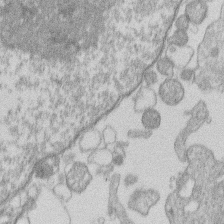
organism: Human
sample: Macrophage cells